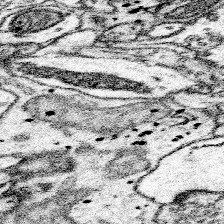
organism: Mouse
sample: Somatosensory cortex neuropil